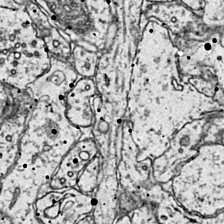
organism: Mouse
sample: Primary visual cortex